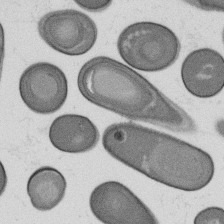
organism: B. subtilis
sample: Bacterial spore